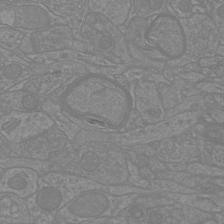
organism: Mouse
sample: Cortical neurons